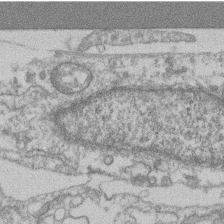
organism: Mouse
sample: T cell stromal cell synapse